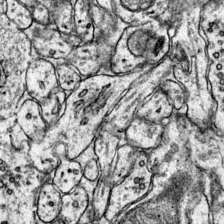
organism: Mouse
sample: Primary visual cortex